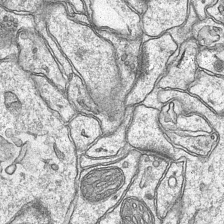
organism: Mouse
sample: CA1 Hippocampus